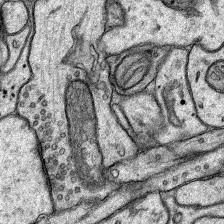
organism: Rat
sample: Hippocampus